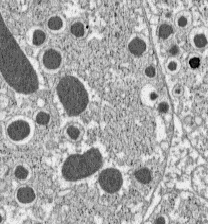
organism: C57BL Mouse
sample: Pancreatic islet